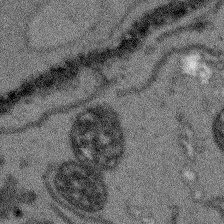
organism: Arabidopsis thaliana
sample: Root tip